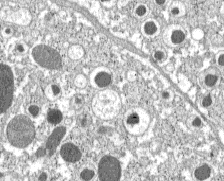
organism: C57BL Mouse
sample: Pancreatic islet